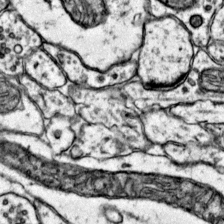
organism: Mouse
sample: Primary visual cortex